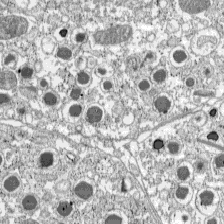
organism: C57BL Mouse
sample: Pancreatic islet